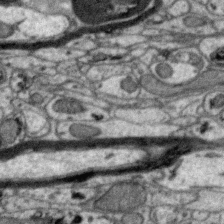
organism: Zebra finch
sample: Brain